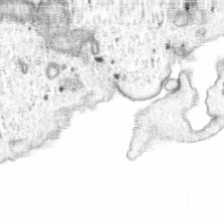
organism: Human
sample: HeLa cells